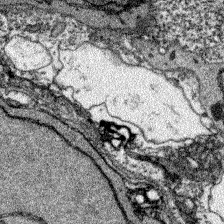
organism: Zebrafish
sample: Larval olfactory bulb